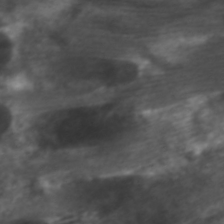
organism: C. elegans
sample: Pharynx